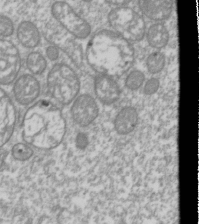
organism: Drosophila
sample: Cell division; meiosis; drosophila spermatocytes